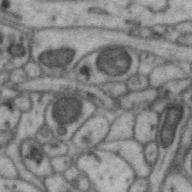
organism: Zebra finch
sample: Brain